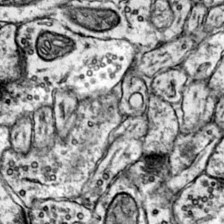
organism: Mouse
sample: Primary visual cortex